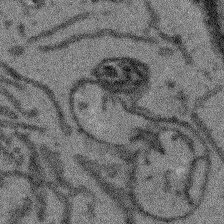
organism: Arabidopsis thaliana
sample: Root tip